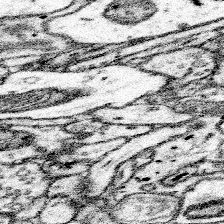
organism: Mouse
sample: Somatosensory cortex neuropil